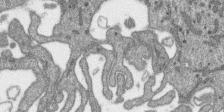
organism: Human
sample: Lung epithelial cells infected with SARS-CoV-2